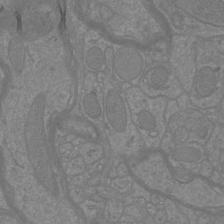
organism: Mouse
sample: Cortical neurons